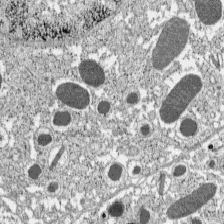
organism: C57BL Mouse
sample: Pancreatic islet